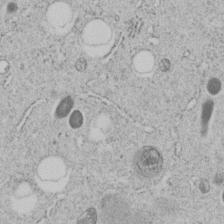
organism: C. elegans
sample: C. elegans embryo early stage